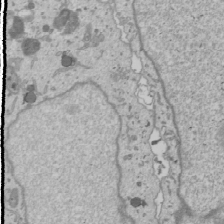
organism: Human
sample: Mitochondria in U2OS cells